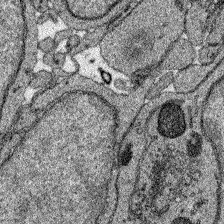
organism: Zebrafish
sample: Larval olfactory bulb